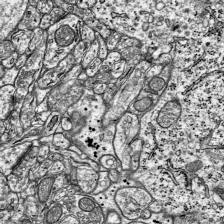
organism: Mouse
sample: Visual Cortex